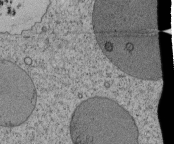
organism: Tetrahymena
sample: Cilia in tetrahymena